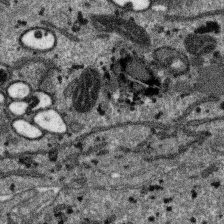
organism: Human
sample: Lung epithelial cells infected with SARS-CoV-2